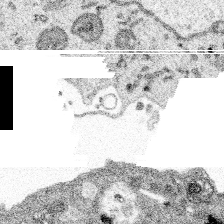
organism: Spongilla lacustris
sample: Multiple